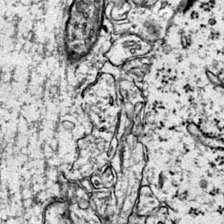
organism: Mouse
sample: Primary visual cortex